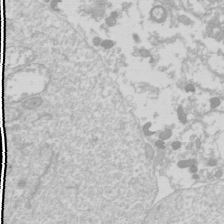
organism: Drosophila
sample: Cell division; meiosis; drosophila spermatocytes